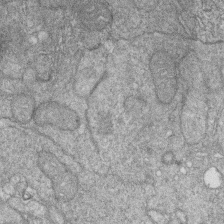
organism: Zebrafish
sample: Cilia; retinal pigment epithelium